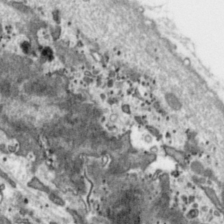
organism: Toxoplasma gondii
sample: Parasites in a vacuole inside a host cell